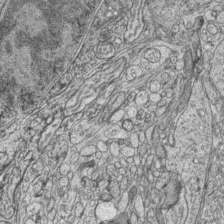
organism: Zebrafish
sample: synaptic ribbons in rod cells and cone cells